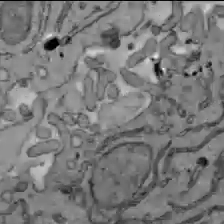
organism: C57BL Mouse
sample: Liver